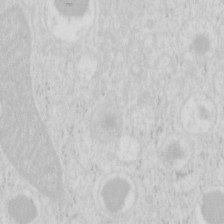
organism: Mouse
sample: Pancreas